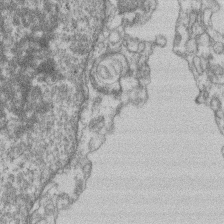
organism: Mouse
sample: T cell stromal cell synapse